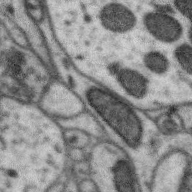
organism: Zebra finch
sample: Brain